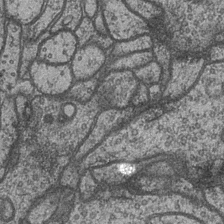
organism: Drosophila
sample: Optic medulla